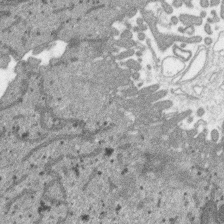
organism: Human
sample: Lung epithelial cells infected with SARS-CoV-2